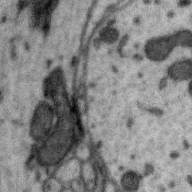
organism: Zebra finch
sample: Brain